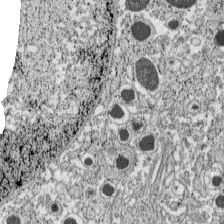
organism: C57BL Mouse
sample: Pancreatic islet